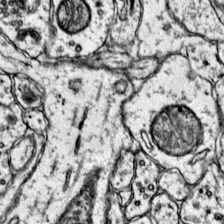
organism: Mouse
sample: Primary visual cortex